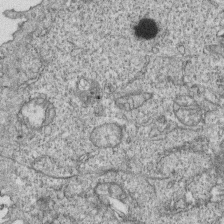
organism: Human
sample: HeLa cell HIV synapse